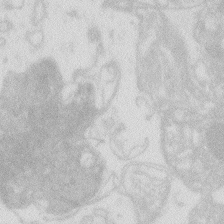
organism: Zebrafish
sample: Macrophage